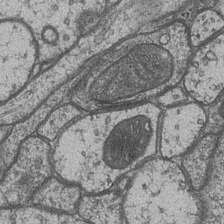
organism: Drosophila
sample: Optic medulla